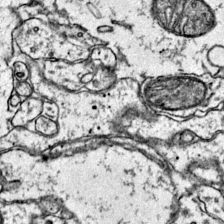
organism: Mouse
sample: Primary visual cortex